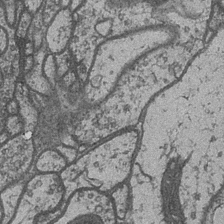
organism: Drosophila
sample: Optic medulla